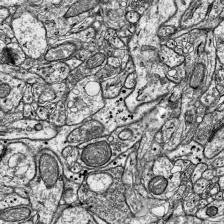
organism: Mouse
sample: Visual Cortex